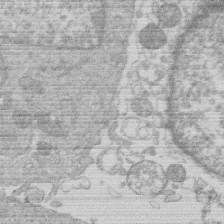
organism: Human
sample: Macrophage cells